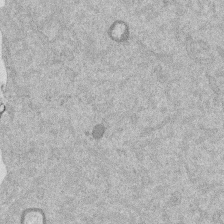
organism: Mouse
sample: Dividing mouse embryo 1 cell stage